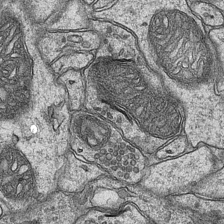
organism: Mouse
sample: CA1 Hippocampus